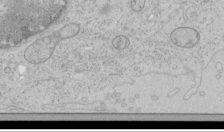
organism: Human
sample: Mitochondria in HCT116 cells